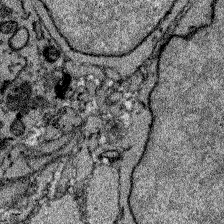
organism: Zebrafish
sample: Larval olfactory bulb